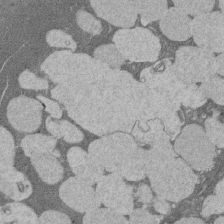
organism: Rat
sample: Salivary granule